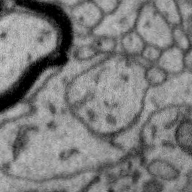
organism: Zebra finch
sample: Brain